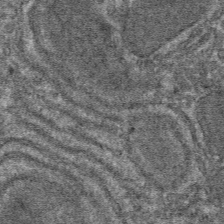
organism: Mouse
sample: Mouse hepatocytes